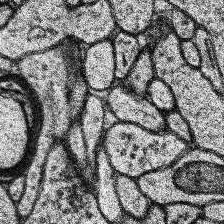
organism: Human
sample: Temporal Lobe